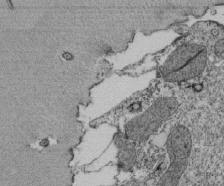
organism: Tetrahymena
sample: Cilia in tetrahymena